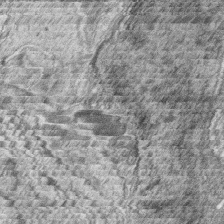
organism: Zebrafish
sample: synaptic ribbons in rod cells and cone cells